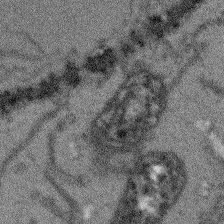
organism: Arabidopsis thaliana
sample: Root tip